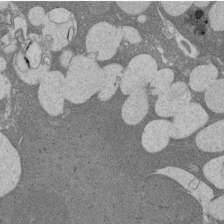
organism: Rat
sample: Salivary granule